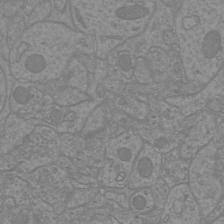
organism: Mouse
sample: Cortical neurons